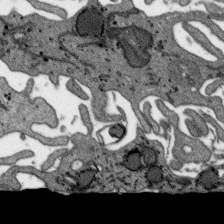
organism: Human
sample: Lung epithelial cells, uninfected (mock) control